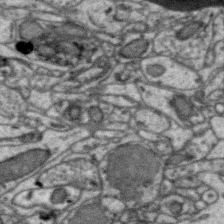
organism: Zebra finch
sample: Brain